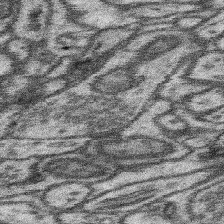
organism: Mouse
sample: Somatosensory cortex neuropil